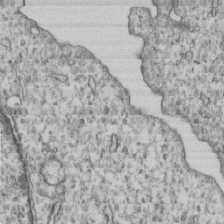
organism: Human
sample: MDA-MB-231 cells